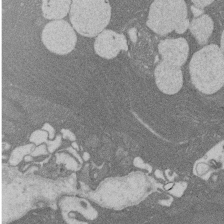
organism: Rat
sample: Salivary granule